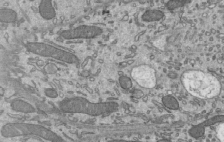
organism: Mouse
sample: Mouse epididymis efferent ductule cilia